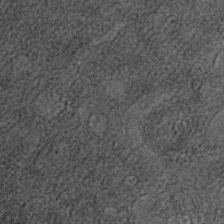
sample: Trachea